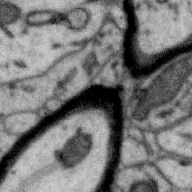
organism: Zebra finch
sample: Brain